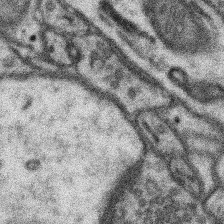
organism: Mouse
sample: Somatosensory cortex neuropil